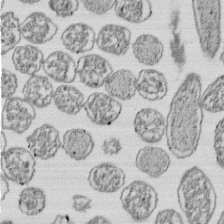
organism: E. coli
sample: Bacterial nucleoid